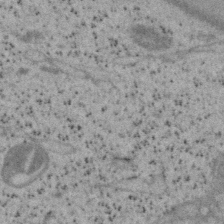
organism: Human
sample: HeLa cells